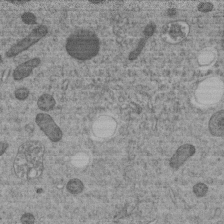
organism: C. elegans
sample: C. elegans embryo early stage